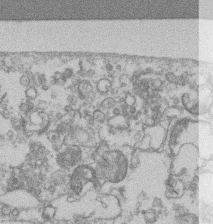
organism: Mouse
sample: T cell stromal cell synapse